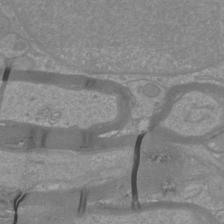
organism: Mouse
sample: Cortical neurons